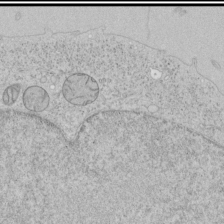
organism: Human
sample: Mitochondria in HCT116 cells